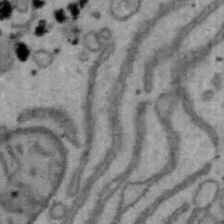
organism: Mouse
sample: Liver